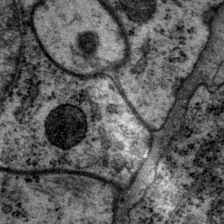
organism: P. pacificus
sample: Pharynx